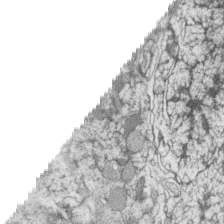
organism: Zebrafish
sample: synaptic ribbons in rod cells and cone cells